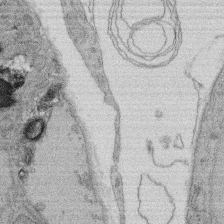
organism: Rat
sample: Salivary granule